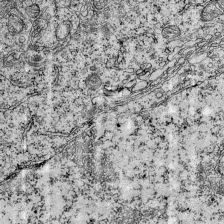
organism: Mouse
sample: Visual Cortex